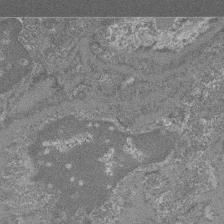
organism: Mouse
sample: Glomerulus